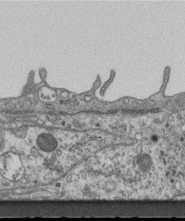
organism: Mouse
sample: Centriole in ependymal cells